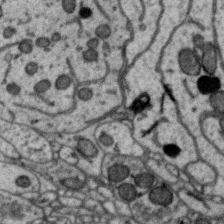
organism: Zebra finch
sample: Brain